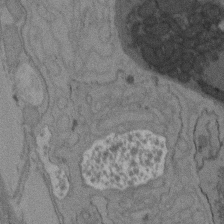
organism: C. elegans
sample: AFD neurons C. elegans